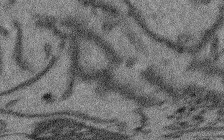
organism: Arabidopsis thaliana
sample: Root tip